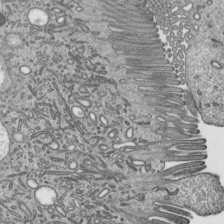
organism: Mouse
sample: Mouse epididymis efferent ductule cilia